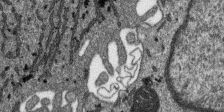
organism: Human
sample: Lung epithelial cells infected with SARS-CoV-2